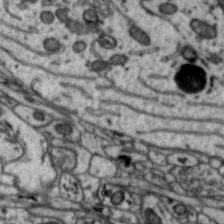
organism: Zebra finch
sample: Brain